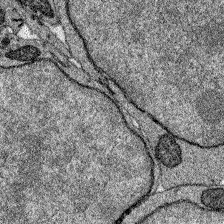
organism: Zebrafish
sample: Larval olfactory bulb